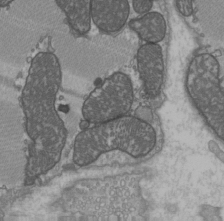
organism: C57BL Mouse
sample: Heart